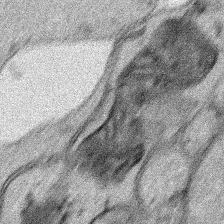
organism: Human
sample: Mitochondria in HCT116 cells